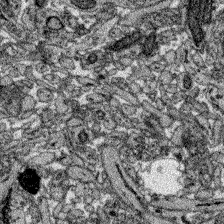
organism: Zebrafish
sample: Larval olfactory bulb